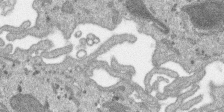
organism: Human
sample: Lung epithelial cells infected with SARS-CoV-2